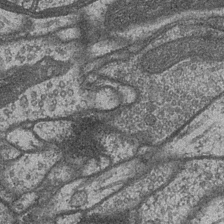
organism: Drosophila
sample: Optic medulla